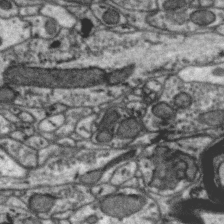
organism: Zebra finch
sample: Brain